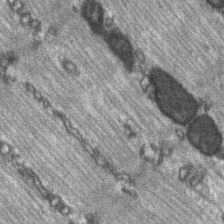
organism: C57BL Mouse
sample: Soleus